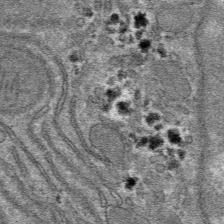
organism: Mouse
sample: Mouse hepatocytes